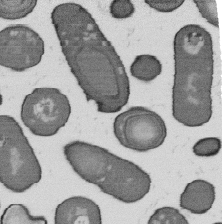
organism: B. subtilis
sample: Bacterial spore